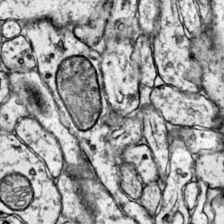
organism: Mouse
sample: Primary visual cortex